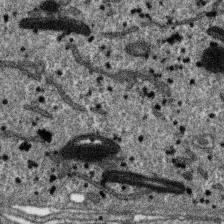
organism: Human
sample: Lung epithelial cells infected with SARS-CoV-2